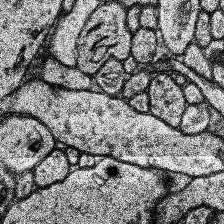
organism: Human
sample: Temporal Lobe